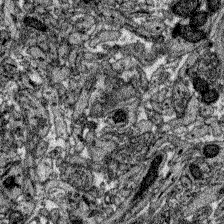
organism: Zebrafish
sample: Larval olfactory bulb